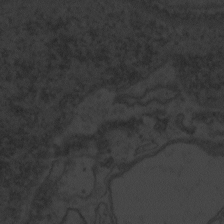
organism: Zebrafish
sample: Macrophage infected with Toxoplasma gondii